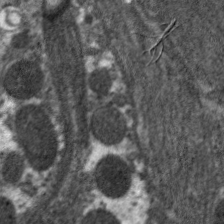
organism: C. elegans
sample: Pharynx